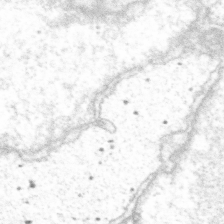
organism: Human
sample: HeLa cells